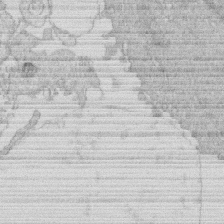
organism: Human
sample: Macrophage cells